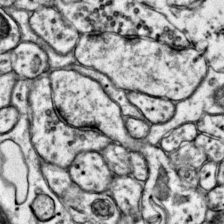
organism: Mouse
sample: Primary visual cortex